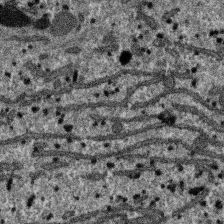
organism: Human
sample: Lung epithelial cells infected with SARS-CoV-2